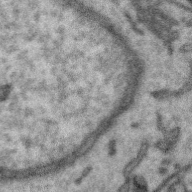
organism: Zebra finch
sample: Brain